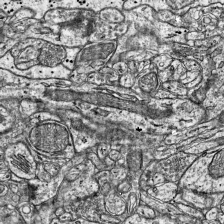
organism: Mouse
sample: Visual Cortex